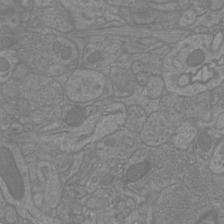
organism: Mouse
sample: Cortical neurons